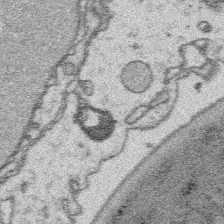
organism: Platynereis dumerilii